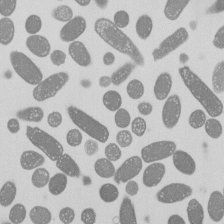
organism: E. coli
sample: Bacterial nucleoid